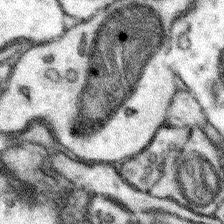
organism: Mouse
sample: Somatosensory cortex neuropil